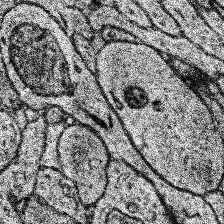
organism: Human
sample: Temporal Lobe